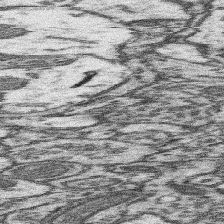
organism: Mouse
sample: Somatosensory cortex neuropil